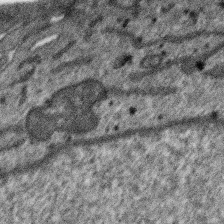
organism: Human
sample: Lung epithelial cells infected with SARS-CoV-2